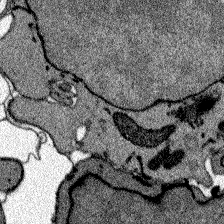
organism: Zebrafish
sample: Larval olfactory bulb